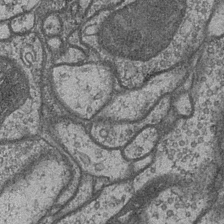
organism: Drosophila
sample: Optic medulla